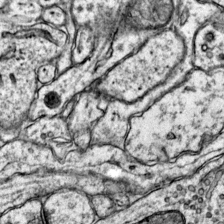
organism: Mouse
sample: Primary visual cortex